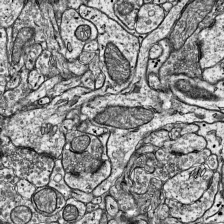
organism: Mouse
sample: Visual Cortex